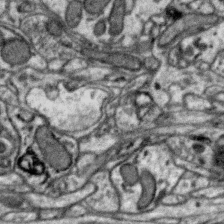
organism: Zebra finch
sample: Brain